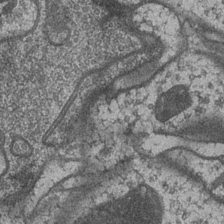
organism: Drosophila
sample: Optic medulla